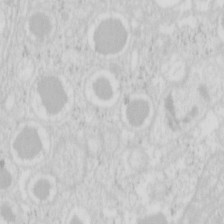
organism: Mouse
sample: Pancreas